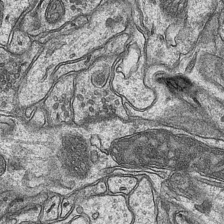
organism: Mouse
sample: CA1 Hippocampus